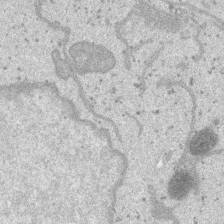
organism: Human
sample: Lung epithelial cells infected with SARS-CoV-2